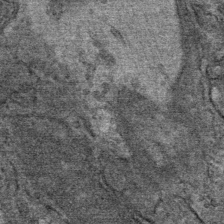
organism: Mouse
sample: Mouse Salivary gland